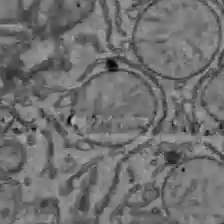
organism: C57BL Mouse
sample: Liver